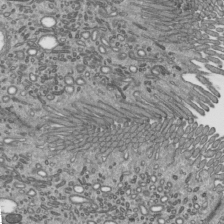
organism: Mouse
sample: Mouse epididymis efferent ductule cilia